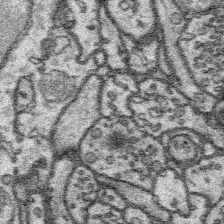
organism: Platynereis dumerilii